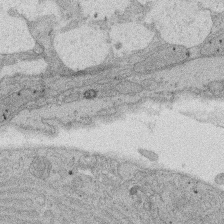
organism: Rat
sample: Salivary granule